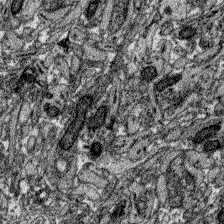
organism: Zebrafish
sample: Larval olfactory bulb